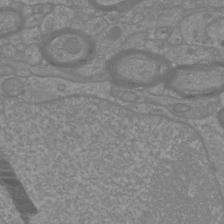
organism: Mouse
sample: Cortical neurons